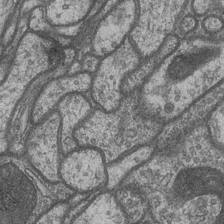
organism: Drosophila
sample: Optic medulla